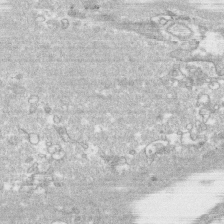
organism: Human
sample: CRL-1474